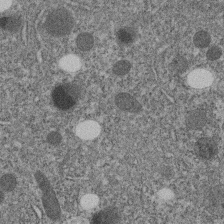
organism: C. elegans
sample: C. elegans embryo early stage